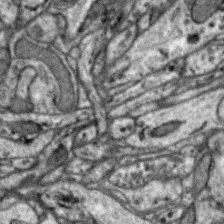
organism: Zebra finch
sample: Brain